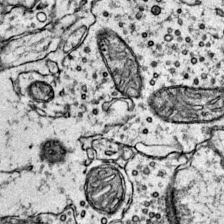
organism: Mouse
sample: Primary visual cortex